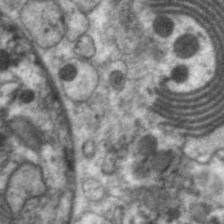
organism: C. elegans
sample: Pharynx